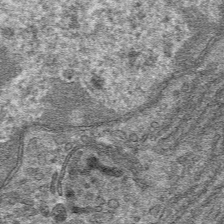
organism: Mouse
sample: Mouse hepatocytes